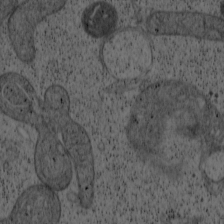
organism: African green monkey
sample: COS-7 cells